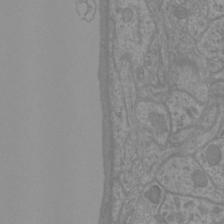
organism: Mouse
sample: Cortical neurons